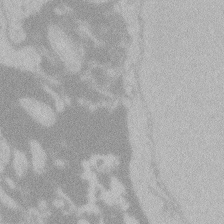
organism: Zebrafish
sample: Macrophage infected with Toxoplasma gondii